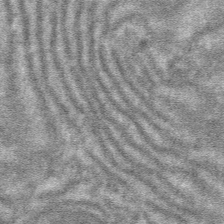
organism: Mouse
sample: Mouse hepatocytes